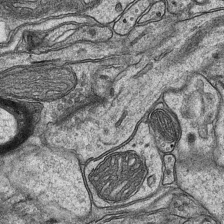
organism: Mouse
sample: CA1 Hippocampus